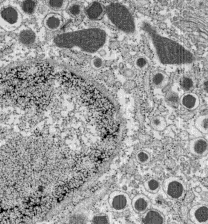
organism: C57BL Mouse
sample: Pancreatic islet